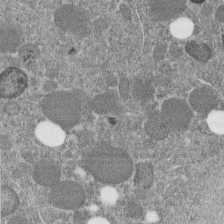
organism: C. elegans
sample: C. elegans embryo early stage